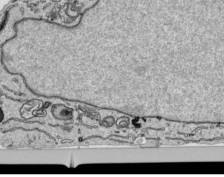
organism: Human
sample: Mitochondria in HCT116 cells